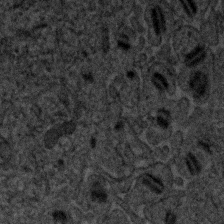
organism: Human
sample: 1205lu cells